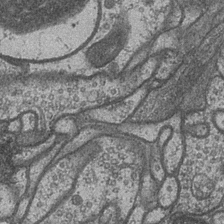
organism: Drosophila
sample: Optic medulla